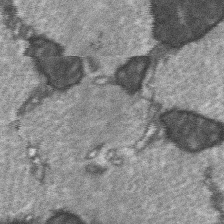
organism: C57BL Mouse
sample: Soleus